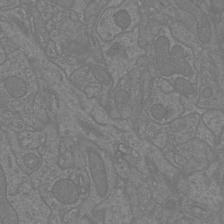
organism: Mouse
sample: Cortical neurons